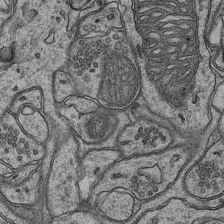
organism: Mouse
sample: CA1 Hippocampus